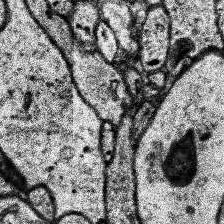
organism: Human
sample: Temporal Lobe